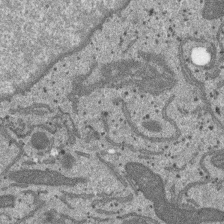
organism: Human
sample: Lung epithelial cells infected with SARS-CoV-2